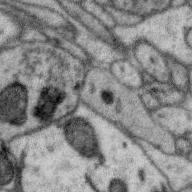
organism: Zebra finch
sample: Brain